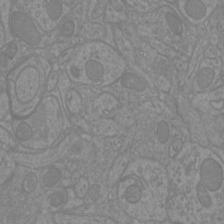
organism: Mouse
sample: Cortical neurons